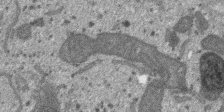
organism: Human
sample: Lung epithelial cells infected with SARS-CoV-2